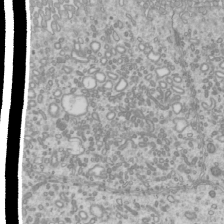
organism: Mouse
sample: Cilia; mouse epididymis